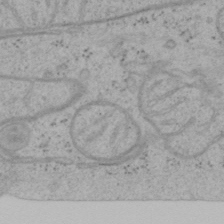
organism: Human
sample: HeLa cells